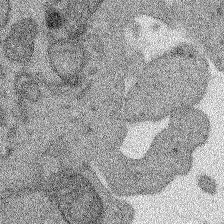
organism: Human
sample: HeLa cells